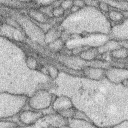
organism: Rabbit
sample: Retina